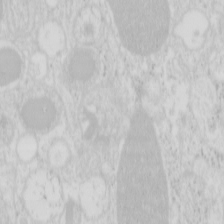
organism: Mouse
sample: Pancreas